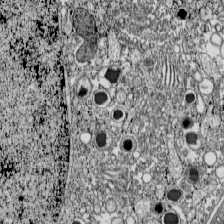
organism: C57BL Mouse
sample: Pancreatic islet